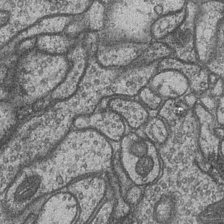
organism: Drosophila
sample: Optic medulla